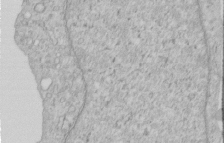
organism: Human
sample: Centriole in RPE cells